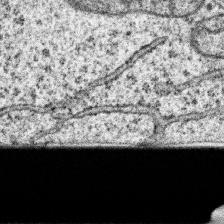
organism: Human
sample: HeLa cells